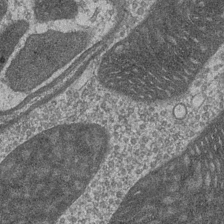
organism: Drosophila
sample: Optic medulla